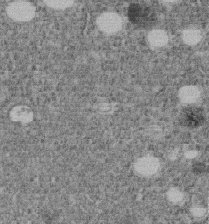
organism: C. elegans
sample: C. elegans embryo early stage